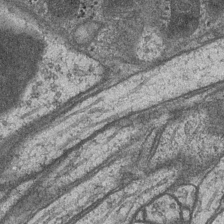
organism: Drosophila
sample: Optic medulla